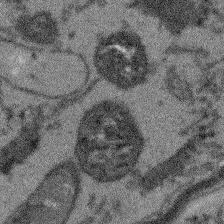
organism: Arabidopsis thaliana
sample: Root tip